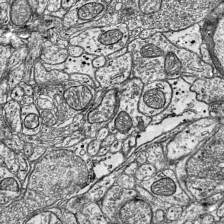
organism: Mouse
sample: Visual Cortex